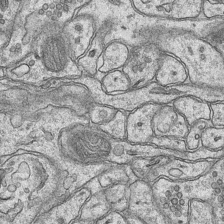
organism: Mouse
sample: CA1 Hippocampus